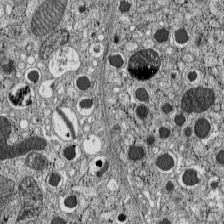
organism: C57BL Mouse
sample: Pancreatic islet